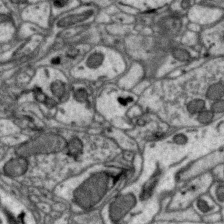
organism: Zebra finch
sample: Brain